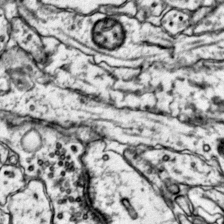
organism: Mouse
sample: Primary visual cortex